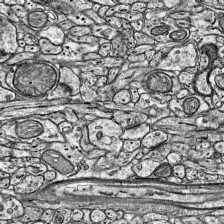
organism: Mouse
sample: Visual Cortex